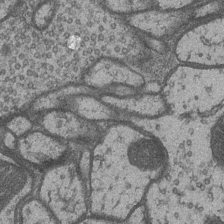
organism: Drosophila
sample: Optic medulla